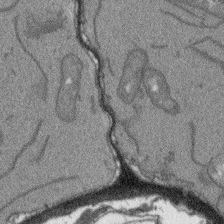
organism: Arabidopsis thaliana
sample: Root tip